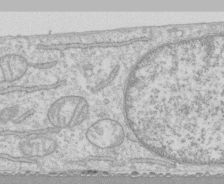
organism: Human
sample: CRL-1474